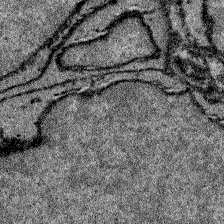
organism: Zebrafish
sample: Larval olfactory bulb